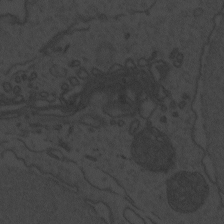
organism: Zebrafish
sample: Macrophage infected with Toxoplasma gondii